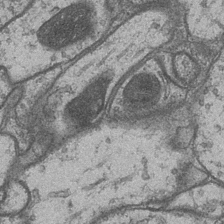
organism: Drosophila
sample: Optic medulla